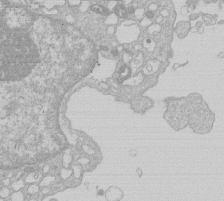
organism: Human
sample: Macrophage cells